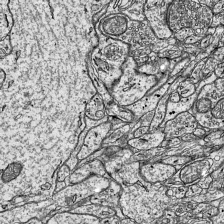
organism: Mouse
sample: Visual Cortex